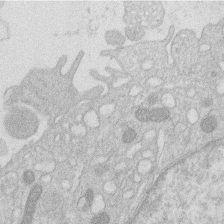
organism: Human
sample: Macrophage cells